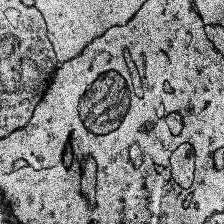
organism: Human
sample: Temporal Lobe